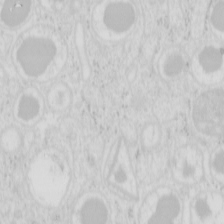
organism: Mouse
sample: Pancreas